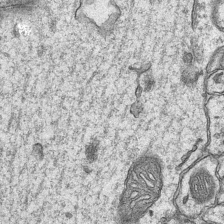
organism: Mouse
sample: CA1 Hippocampus